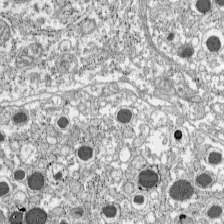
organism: C57BL Mouse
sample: Pancreatic islet